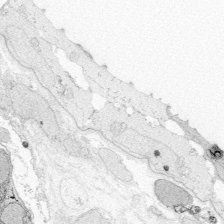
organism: Zebrafish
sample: Whole-Brain